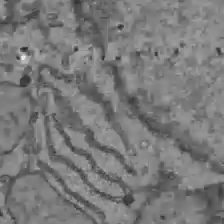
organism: C57BL Mouse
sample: Liver